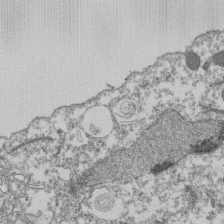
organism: Dictyostelium discoideum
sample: Dictyostelium multivesicular bodies